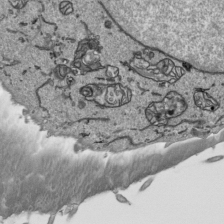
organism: Human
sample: Mitochondria in HCT116 cells